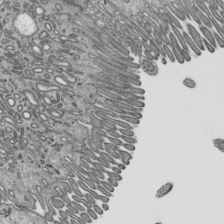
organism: Mouse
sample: Mouse epididymis efferent ductule cilia